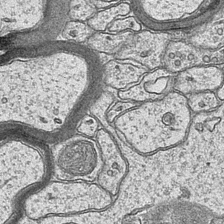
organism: Mouse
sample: CA1 Hippocampus